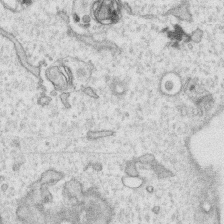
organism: Human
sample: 1205lu cells